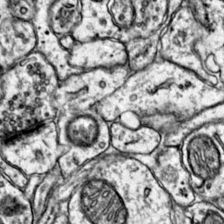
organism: Mouse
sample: Primary visual cortex